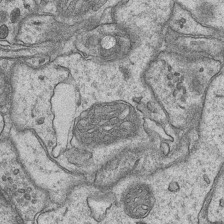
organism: Mouse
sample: CA1 Hippocampus